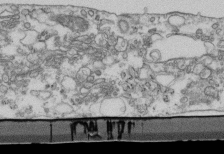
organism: Mouse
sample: Cilia; retinal pigment epithelium